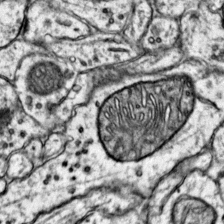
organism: Mouse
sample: Primary visual cortex